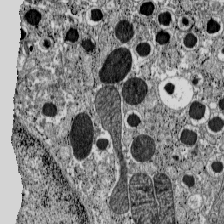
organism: C57BL Mouse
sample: Pancreatic islet